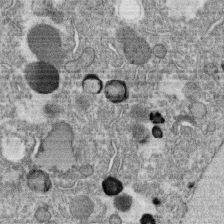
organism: C. elegans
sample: C. elegans oocyte; sperm cells